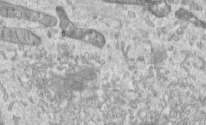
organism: Human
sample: Centriole in RPE cells